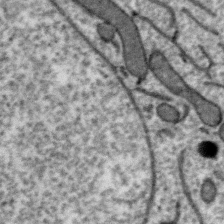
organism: Zebra finch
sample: Brain